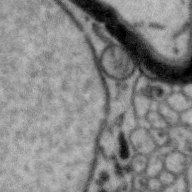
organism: Zebra finch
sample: Brain